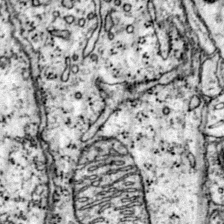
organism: Mouse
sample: Primary visual cortex